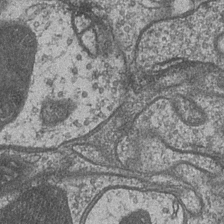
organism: Drosophila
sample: Optic medulla